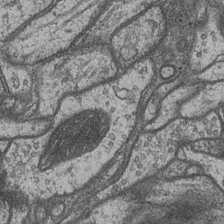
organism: Drosophila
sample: Optic medulla